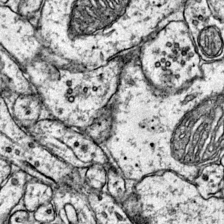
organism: Mouse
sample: Primary visual cortex